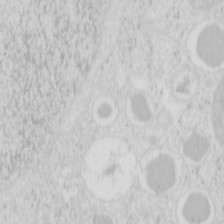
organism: Mouse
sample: Pancreas